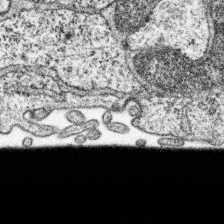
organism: Human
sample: HeLa cells